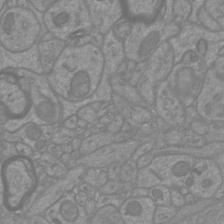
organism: Mouse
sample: Cortical neurons